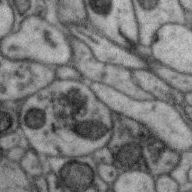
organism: Zebra finch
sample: Brain